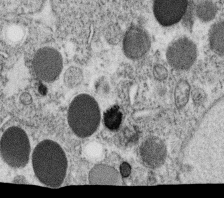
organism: C. elegans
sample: C. elegans oocyte; sperm cells